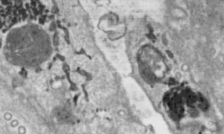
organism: Toxoplasma gondii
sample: Parasites in a vacuole inside a host cell